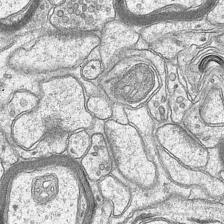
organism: Mouse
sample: CA1 Hippocampus